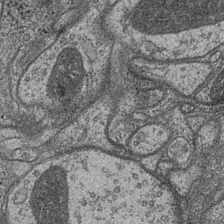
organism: Drosophila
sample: Optic medulla